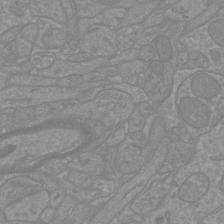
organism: Mouse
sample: Cortical neurons